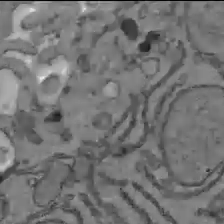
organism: C57BL Mouse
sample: Liver